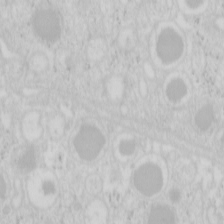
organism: Mouse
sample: Pancreas